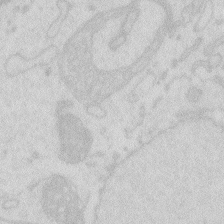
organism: Zebrafish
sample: Macrophage